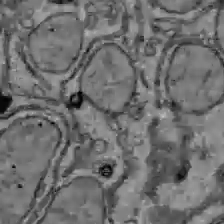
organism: C57BL Mouse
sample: Liver